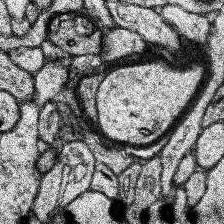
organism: Human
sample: Temporal Lobe